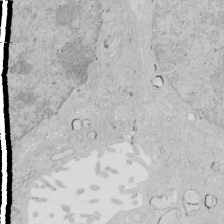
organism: Human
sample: Mitochondria in HCT116 cells